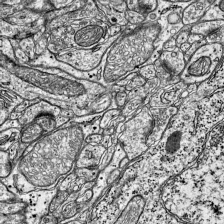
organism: Mouse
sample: Visual Cortex